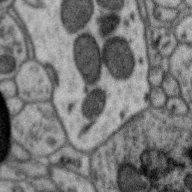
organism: Zebra finch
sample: Brain